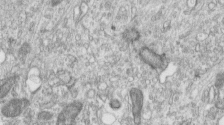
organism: Human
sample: Centriole in RPE cells